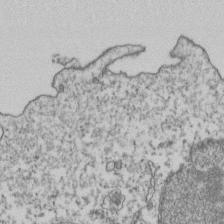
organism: Human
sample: Activated Jurkat CD4+ T cells